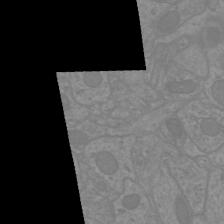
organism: Mouse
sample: Cortical neurons